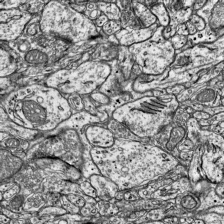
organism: Mouse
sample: Visual Cortex